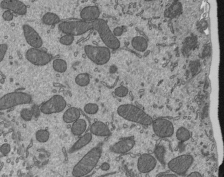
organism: Mouse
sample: Mouse epididymis efferent ductule cilia